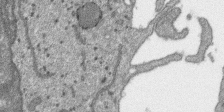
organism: Human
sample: Lung epithelial cells infected with SARS-CoV-2